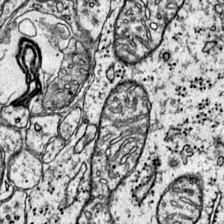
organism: Mouse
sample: Primary visual cortex